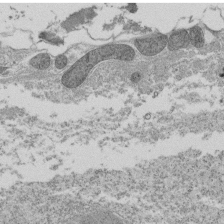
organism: Tetrahymena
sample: Cilia in tetrahymena